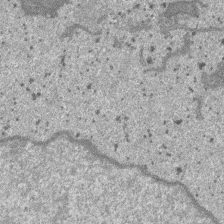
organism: Human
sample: Lung epithelial cells infected with SARS-CoV-2